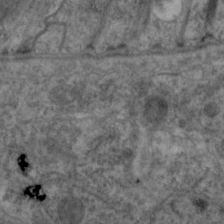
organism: C. elegans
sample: Pharynx